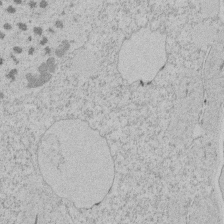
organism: Tetrahymena